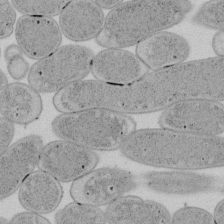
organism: E. coli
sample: Bacterial nucleoid